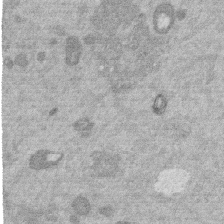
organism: Mouse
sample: Dividing mouse embryo 1 cell stage